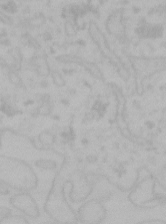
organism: Mouse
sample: Choroid plexus